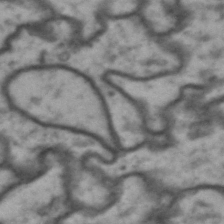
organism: Drosophila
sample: Brain